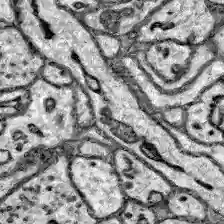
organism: Zebrafish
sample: Brain